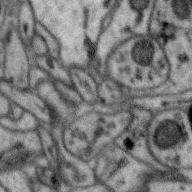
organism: Zebra finch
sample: Brain